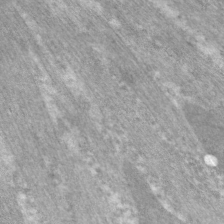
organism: C. elegans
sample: Pharynx